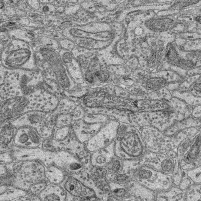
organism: Mouse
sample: Retina